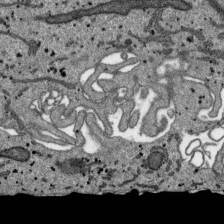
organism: Human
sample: Lung epithelial cells, uninfected (mock) control